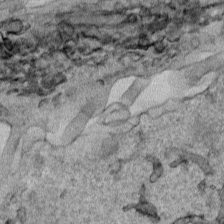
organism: Human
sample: Mitochondria in HCT116 cells